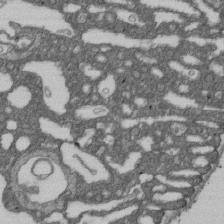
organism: Drosophila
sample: Nephrocyte